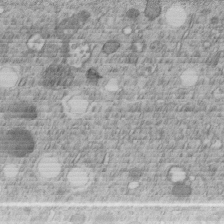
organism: C. elegans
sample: C. elegans embryo early stage